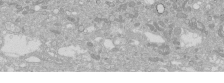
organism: Human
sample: Caco-2 cells